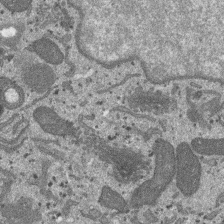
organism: Human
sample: Lung epithelial cells infected with SARS-CoV-2